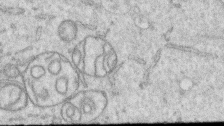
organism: Human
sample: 1205lu cells